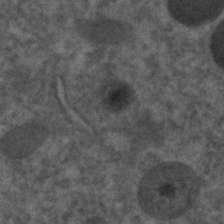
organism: C. elegans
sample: C. elegans embryo